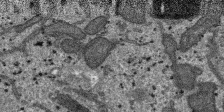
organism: Human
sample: Lung epithelial cells infected with SARS-CoV-2